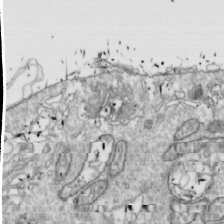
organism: Drosophila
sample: Cell division; meiosis; drosophila spermatocytes